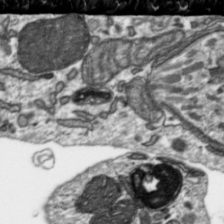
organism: Toxoplasma gondii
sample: Parasites in a vacuole inside a host cell